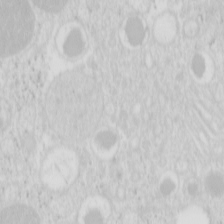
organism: Mouse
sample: Pancreas